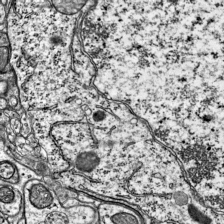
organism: Mouse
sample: Visual Cortex